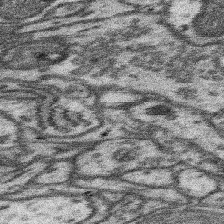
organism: Mouse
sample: Somatosensory cortex neuropil